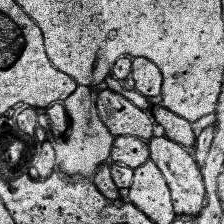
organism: Human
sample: Temporal Lobe